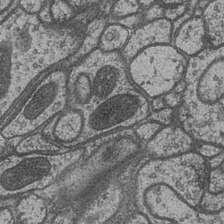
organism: Drosophila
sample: Optic medulla